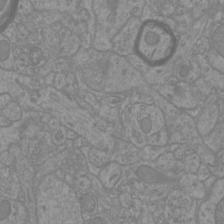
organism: Mouse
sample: Cortical neurons